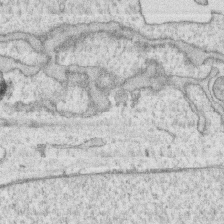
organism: Human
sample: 1205lu cells